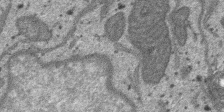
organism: Human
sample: Lung epithelial cells infected with SARS-CoV-2